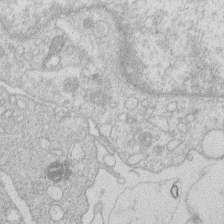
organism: Human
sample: Macrophage cells